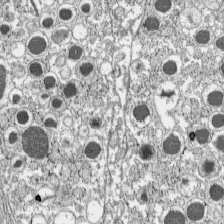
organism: C57BL Mouse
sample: Pancreatic islet